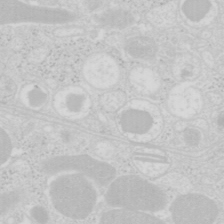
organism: Mouse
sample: Pancreas